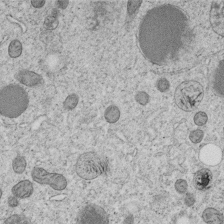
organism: C. elegans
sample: C. elegans embryo early stage